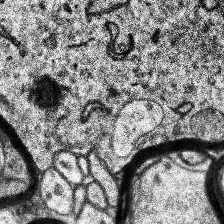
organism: Human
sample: Temporal Lobe